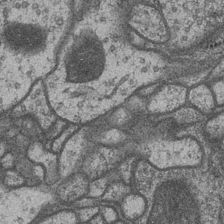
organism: Drosophila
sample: Optic medulla